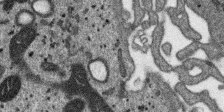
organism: Human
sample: Lung epithelial cells infected with SARS-CoV-2